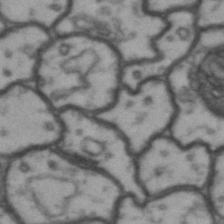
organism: Drosophila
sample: Brain